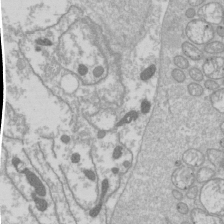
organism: Drosophila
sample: Cell division; meiosis; drosophila spermatocytes